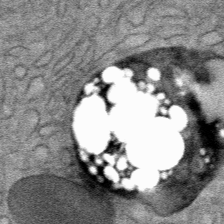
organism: Mouse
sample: Mouse Salivary gland